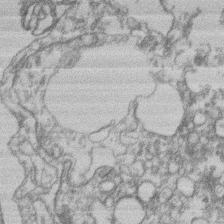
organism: Mouse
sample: T cell stromal cell synapse